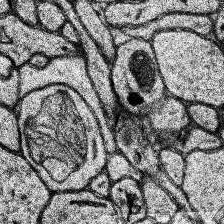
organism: Human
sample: Temporal Lobe